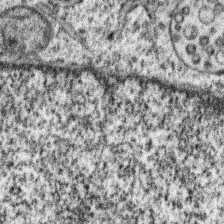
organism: Human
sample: HeLa cells